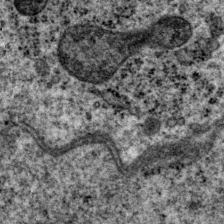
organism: P. pacificus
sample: Pharynx